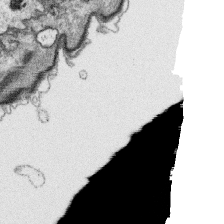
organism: Platynereis dumerilii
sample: Parapodia